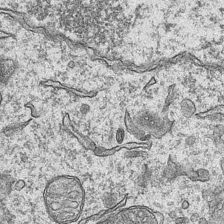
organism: Mouse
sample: CA1 Hippocampus